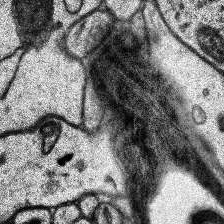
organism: Human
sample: Temporal Lobe